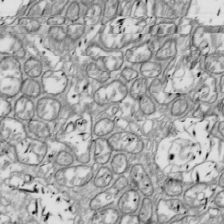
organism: Drosophila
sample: Cell division; meiosis; drosophila spermatocytes